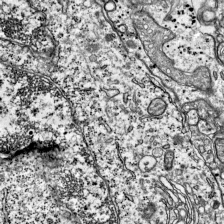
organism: Mouse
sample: Visual Cortex